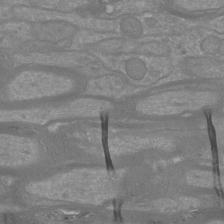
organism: Mouse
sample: Cortical neurons